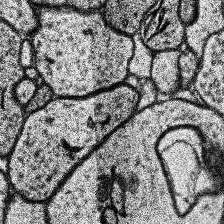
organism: Human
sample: Temporal Lobe